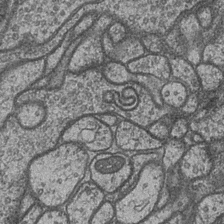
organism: Drosophila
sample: Optic medulla